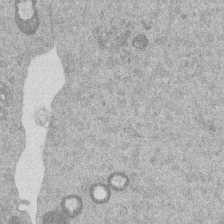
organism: Mouse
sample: Dividing mouse embryo 1 cell stage